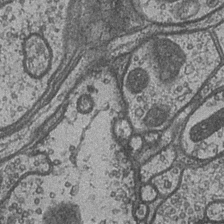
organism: Drosophila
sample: Optic medulla